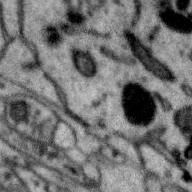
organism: Zebra finch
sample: Brain